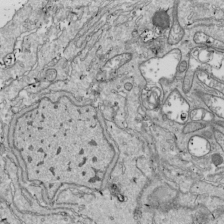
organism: Drosophila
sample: Cell division; meiosis; drosophila spermatocytes